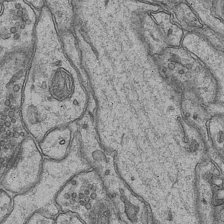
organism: Mouse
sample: CA1 Hippocampus